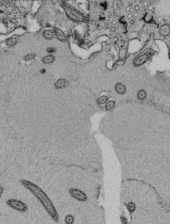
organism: Tetrahymena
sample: Cilia in tetrahymena